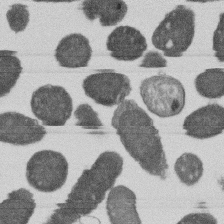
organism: E. coli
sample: Bacterial nucleoid